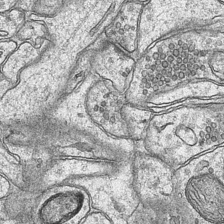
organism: Mouse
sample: CA1 Hippocampus